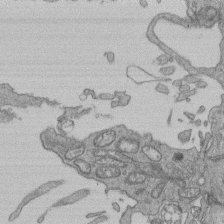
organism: Human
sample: Retinal organoid Rod and Cone cells